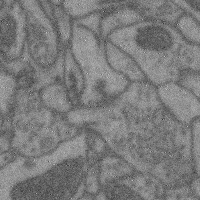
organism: Mouse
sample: Cerebral cortex